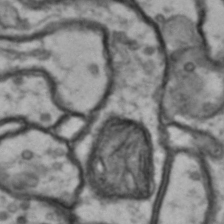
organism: Drosophila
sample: Brain